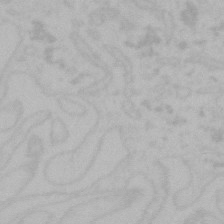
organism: Mouse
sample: Choroid plexus